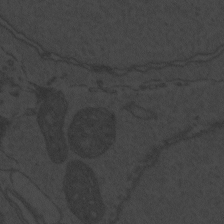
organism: Zebrafish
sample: Macrophage infected with Toxoplasma gondii